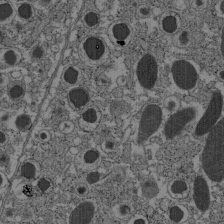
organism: C57BL Mouse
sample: Pancreatic islet